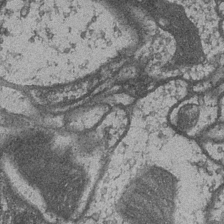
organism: Drosophila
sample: Optic medulla